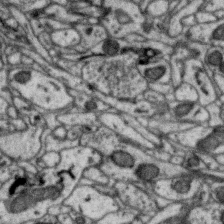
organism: Zebra finch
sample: Brain